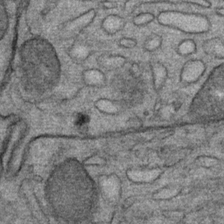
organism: Mouse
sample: Mouse Salivary gland